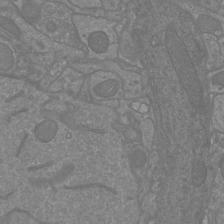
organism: Mouse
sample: Cortical neurons